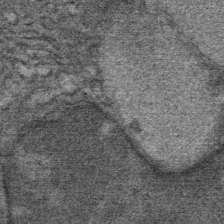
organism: Mouse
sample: Mouse Salivary gland